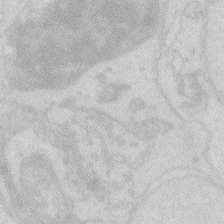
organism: Zebrafish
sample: Macrophage